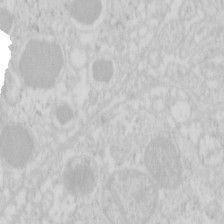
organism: Mouse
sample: Pancreas